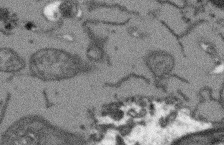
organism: Arabidopsis thaliana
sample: Root tip